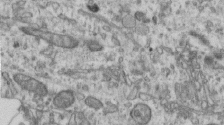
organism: Human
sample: Centriole in RPE cells